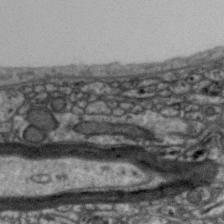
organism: Zebra finch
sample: Brain